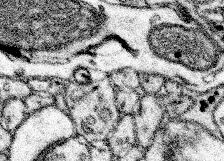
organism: Mouse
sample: Somatosensory cortex neuropil